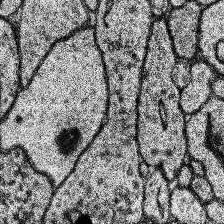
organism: Human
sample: Temporal Lobe